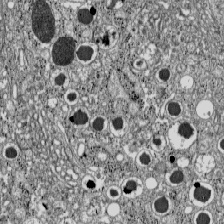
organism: C57BL Mouse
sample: Pancreatic islet